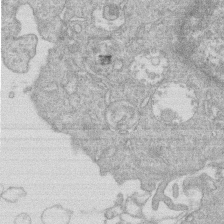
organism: Human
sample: Macrophage cells